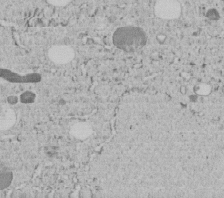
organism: C. elegans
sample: C. elegans embryo early stage